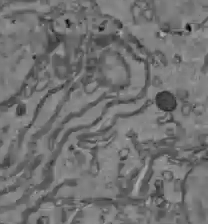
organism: C57BL Mouse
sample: Liver